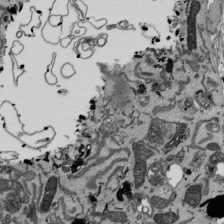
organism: Mouse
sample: ED-1 cell nuclei; centrioles